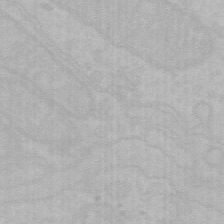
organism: Mouse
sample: Choroid plexus